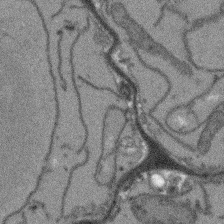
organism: Arabidopsis thaliana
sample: Root tip